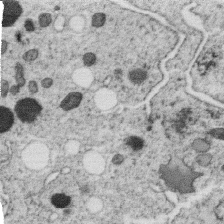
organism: C. elegans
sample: C. elegans oocyte; sperm cells